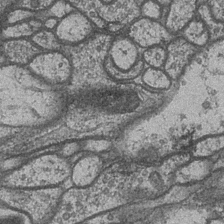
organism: Drosophila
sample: Optic medulla